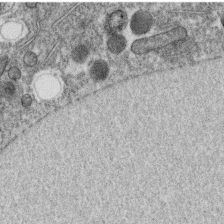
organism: C. elegans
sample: C. elegans oocyte; sperm cells